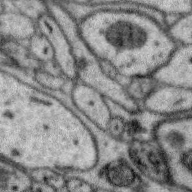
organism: Zebra finch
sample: Brain